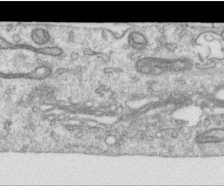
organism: Human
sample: Centriole in RPE cells